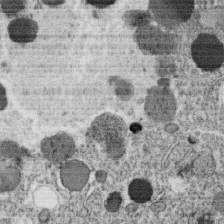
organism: C. elegans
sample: C. elegans oocyte; sperm cells